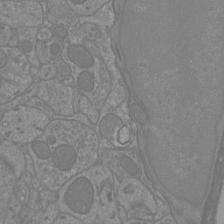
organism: Mouse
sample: Cortical neurons